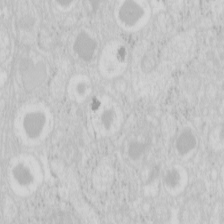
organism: Mouse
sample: Pancreas